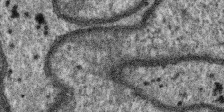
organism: Human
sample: Lung epithelial cells infected with SARS-CoV-2